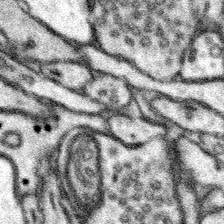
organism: Mouse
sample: Somatosensory cortex neuropil